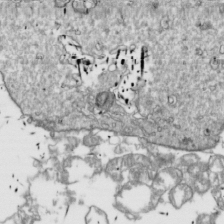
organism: Drosophila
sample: Cell division; meiosis; drosophila spermatocytes